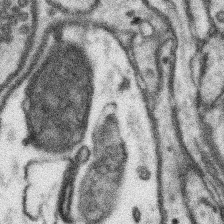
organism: Mouse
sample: Somatosensory cortex neuropil